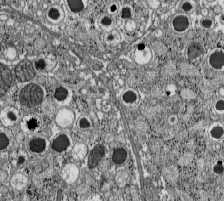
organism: C57BL Mouse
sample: Pancreatic islet